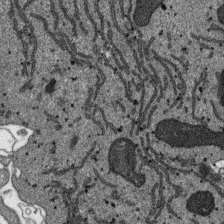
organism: Human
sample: Lung epithelial cells infected with SARS-CoV-2